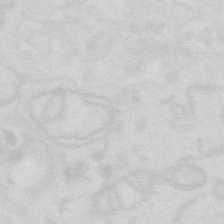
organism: Human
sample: HeLa cells